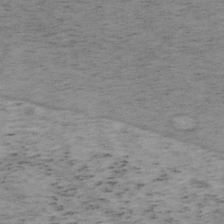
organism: Mouse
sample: OT-I killer T cells with ID8 ovarian cancer cells